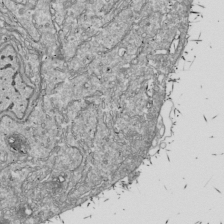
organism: Drosophila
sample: Cell division; meiosis; drosophila spermatocytes